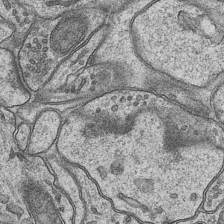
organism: Mouse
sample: CA1 Hippocampus